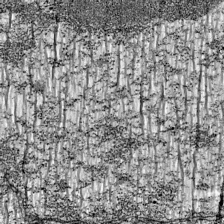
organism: Mouse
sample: Visual Cortex